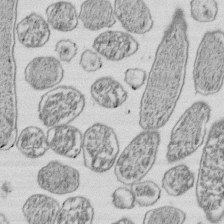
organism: E. coli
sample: Bacterial nucleoid